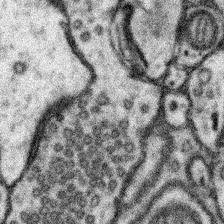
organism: Mouse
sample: Somatosensory cortex neuropil